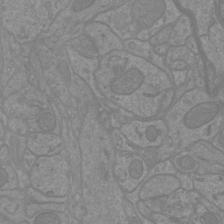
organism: Mouse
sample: Cortical neurons